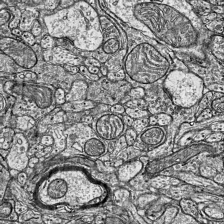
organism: Mouse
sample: Visual Cortex